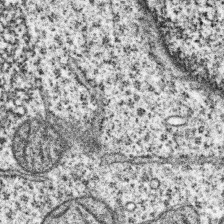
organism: Human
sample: HeLa cells